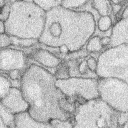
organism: Rabbit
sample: Retina